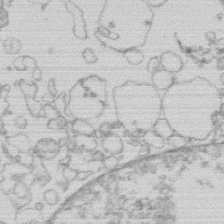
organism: Human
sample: Macrophage cells